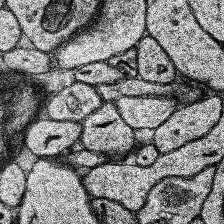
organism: Human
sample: Temporal Lobe